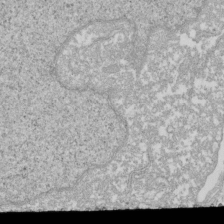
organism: Xenopus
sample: Cilia; centrioles in frog embryo cells